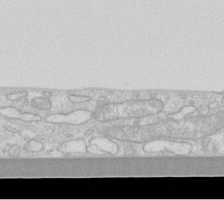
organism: Human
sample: Fibroblast cells